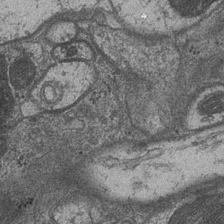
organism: Drosophila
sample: Optic medulla